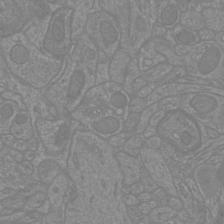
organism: Mouse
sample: Cortical neurons